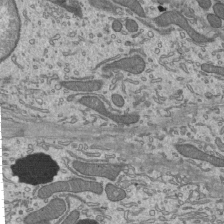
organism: Mouse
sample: Mouse epididymis efferent ductule cilia